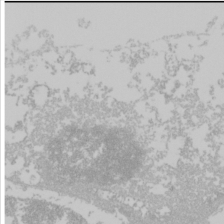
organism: Mouse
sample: Cancer cell death in ED-1 cells